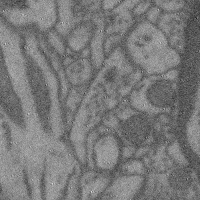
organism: Mouse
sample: Cerebral cortex